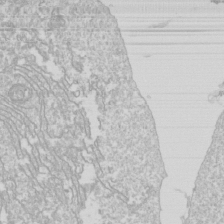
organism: Drosophila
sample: Cell division; meiosis; drosophila spermatocytes